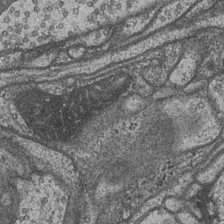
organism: Drosophila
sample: Optic medulla